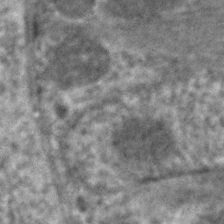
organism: C. elegans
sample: Pharynx